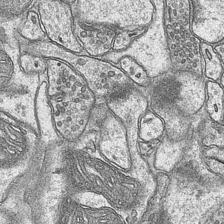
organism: Mouse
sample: CA1 Hippocampus